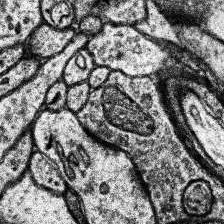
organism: Human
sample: Temporal Lobe